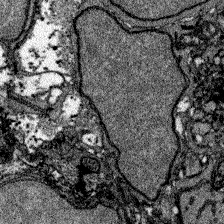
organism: Zebrafish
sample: Larval olfactory bulb